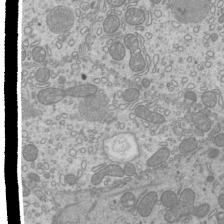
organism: Mouse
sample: Cilia; mouse epididymis